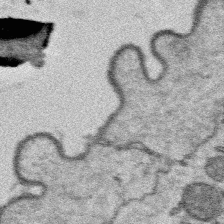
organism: Platynereis dumerilii